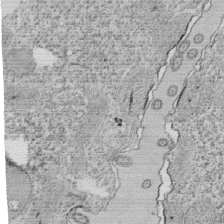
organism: Tetrahymena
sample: Cilia in tetrahymena